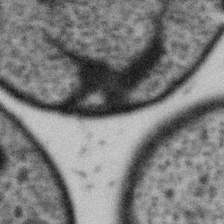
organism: Gemmata obscuriglobus